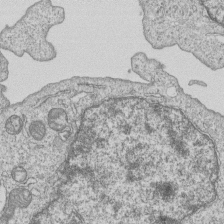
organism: Human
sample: MDA-MB-231 cells